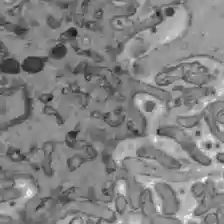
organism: C57BL Mouse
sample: Liver